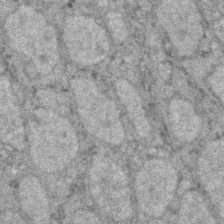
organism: Zebrafish